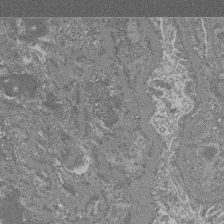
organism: Mouse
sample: Glomerulus